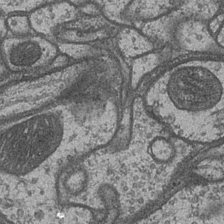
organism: Drosophila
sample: Optic medulla